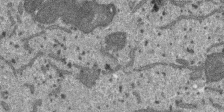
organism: Human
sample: Lung epithelial cells infected with SARS-CoV-2